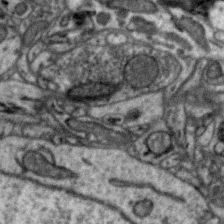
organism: Zebra finch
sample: Brain